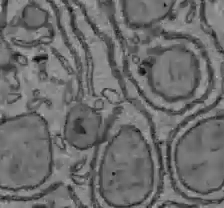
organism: C57BL Mouse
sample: Liver